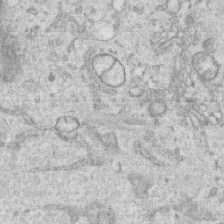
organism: Human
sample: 1205lu cells